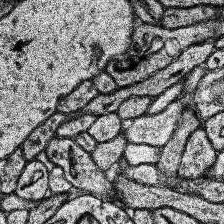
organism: Human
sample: Temporal Lobe